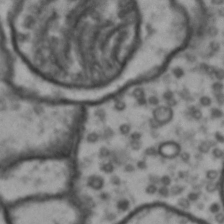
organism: Drosophila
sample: Brain